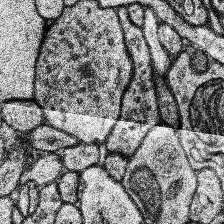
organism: Human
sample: Temporal Lobe